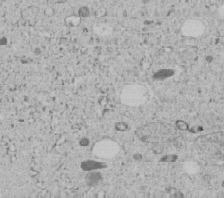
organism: C. elegans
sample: C. elegans embryo early stage